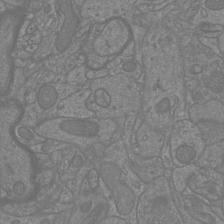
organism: Mouse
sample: Cortical neurons